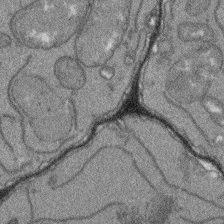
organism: Arabidopsis thaliana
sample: Root tip